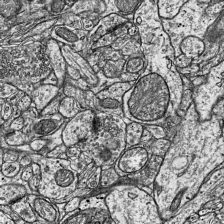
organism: Mouse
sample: Visual Cortex